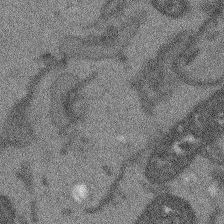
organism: Arabidopsis thaliana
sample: Root tip